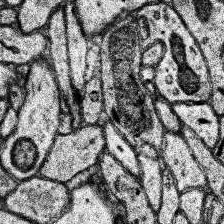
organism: Human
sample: Temporal Lobe